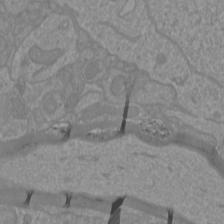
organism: Mouse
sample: Cortical neurons